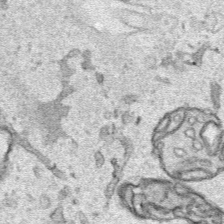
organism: Human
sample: Mitochondria in HCT116 cells